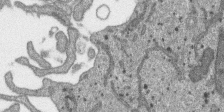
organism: Human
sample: Lung epithelial cells infected with SARS-CoV-2